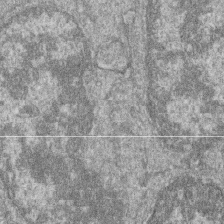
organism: Zebrafish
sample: Cilia; retinal pigment epithelium